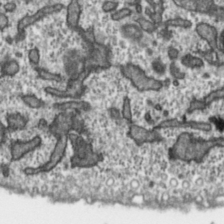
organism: Toxoplasma gondii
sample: Parasites in a vacuole inside a host cell